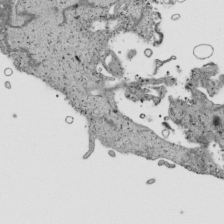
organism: Human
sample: Mitochondria in HCT116 cells